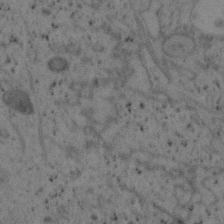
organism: Human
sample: HeLa cells